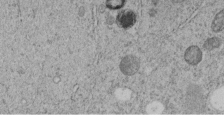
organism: C. elegans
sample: C. elegans embryo early stage